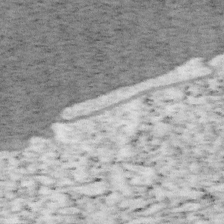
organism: Mouse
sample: OT-I killer T cells with ID8 ovarian cancer cells